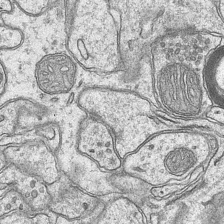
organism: Mouse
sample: CA1 Hippocampus